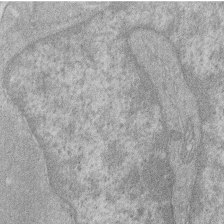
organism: Human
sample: Macrophage cells